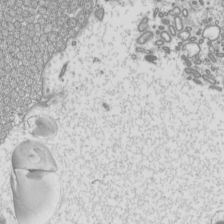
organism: Mouse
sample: Cilia; mouse epididymis